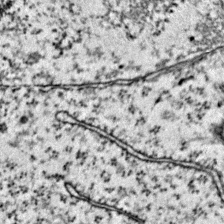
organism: Mouse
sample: Primary visual cortex